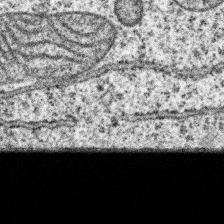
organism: Human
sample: HeLa cells